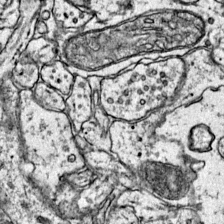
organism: Mouse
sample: Primary visual cortex